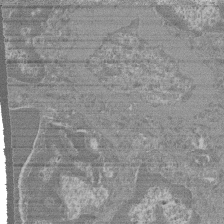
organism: Mouse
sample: Glomerulus